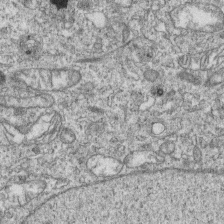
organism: Human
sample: HeLa cell HIV synapse